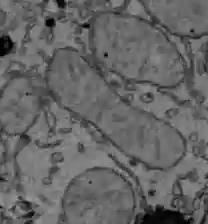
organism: C57BL Mouse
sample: Liver